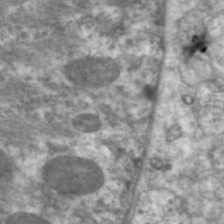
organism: C. elegans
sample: Pharynx